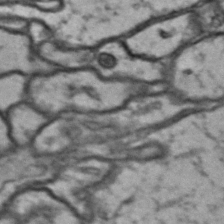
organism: Drosophila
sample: Brain